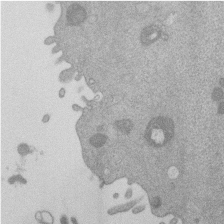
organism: Mouse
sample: Dividing mouse embryo 1 cell stage